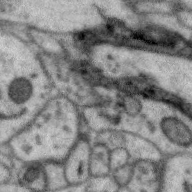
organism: Zebra finch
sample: Brain